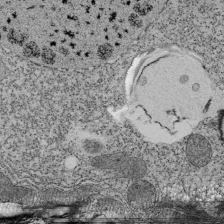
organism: Tetrahymena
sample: Cilia in tetrahymena